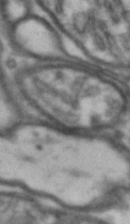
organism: Drosophila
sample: Brain